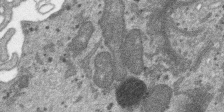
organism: Human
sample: Lung epithelial cells infected with SARS-CoV-2